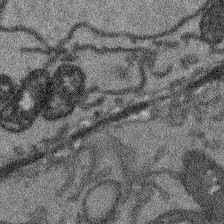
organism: Arabidopsis thaliana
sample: Root tip